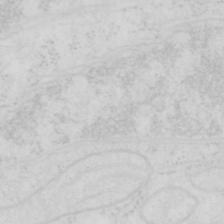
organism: Human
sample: SUM-159 cell